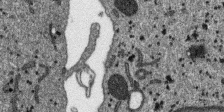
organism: Human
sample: Lung epithelial cells infected with SARS-CoV-2